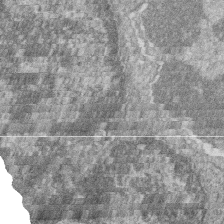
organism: Zebrafish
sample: Cilia; retinal pigment epithelium